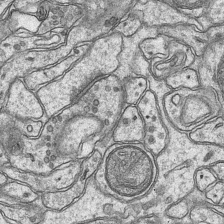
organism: Mouse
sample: CA1 Hippocampus